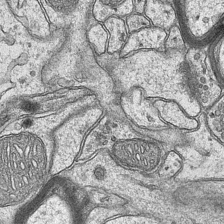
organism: Mouse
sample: CA1 Hippocampus